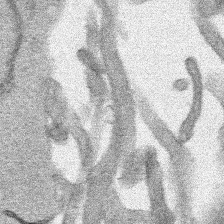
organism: Human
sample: Mitochondria in HCT116 cells